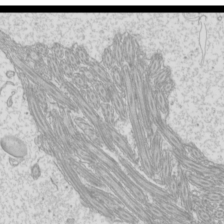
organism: Mouse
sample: Cilia; mouse epididymis